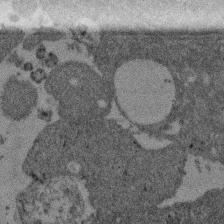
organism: Mouse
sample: Dividing mouse embryo 1 cell stage